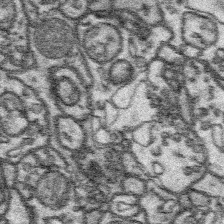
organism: Platynereis dumerilii